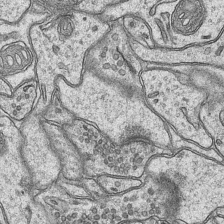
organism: Mouse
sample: CA1 Hippocampus